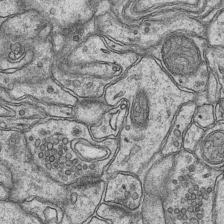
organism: Mouse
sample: CA1 Hippocampus